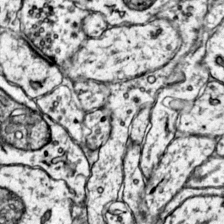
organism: Mouse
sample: Primary visual cortex